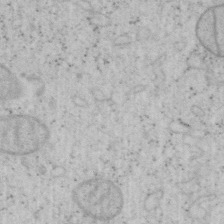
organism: Human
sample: HeLa cells